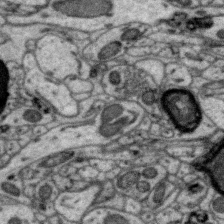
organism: Zebra finch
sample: Brain